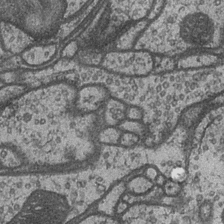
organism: Drosophila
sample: Optic medulla